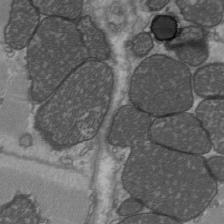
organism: C57BL Mouse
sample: Heart